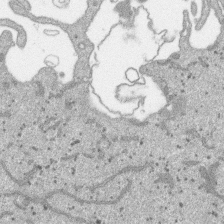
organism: Human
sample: Lung epithelial cells infected with SARS-CoV-2